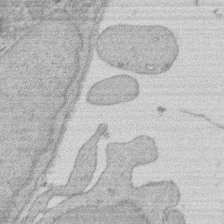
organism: Rat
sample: Salivary granule